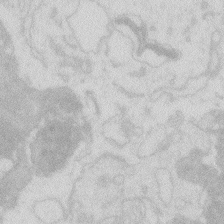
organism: Zebrafish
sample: Macrophage